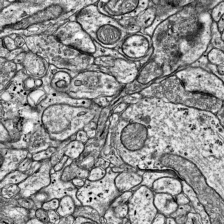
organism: Mouse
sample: Visual Cortex